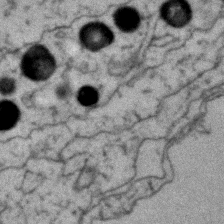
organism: Zebrafish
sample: Zebrafish embryo